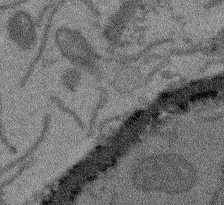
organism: Arabidopsis thaliana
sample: Root tip